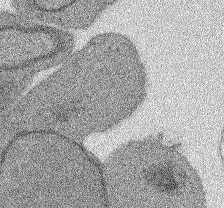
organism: Human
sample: HeLa cells